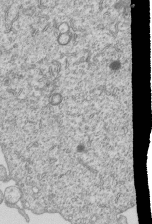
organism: Human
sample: MDA-MB-231 cells